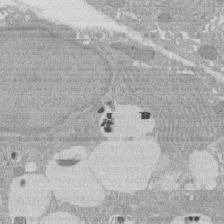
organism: Rat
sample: Salivary granule